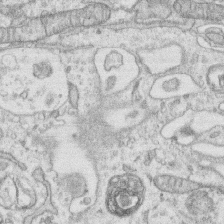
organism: Human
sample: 1205lu cells